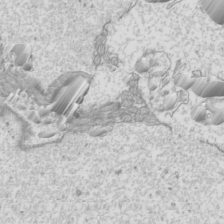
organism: Mouse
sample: Cilia; mouse epididymis